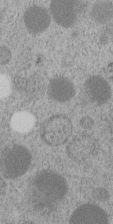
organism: C. elegans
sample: C. elegans embryo early stage